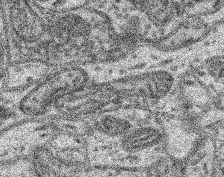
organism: Mouse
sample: Retina